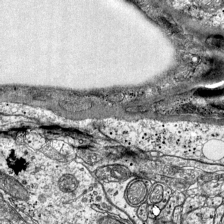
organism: Mouse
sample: Visual Cortex